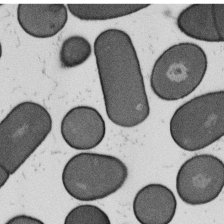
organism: B. subtilis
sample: Bacterial spore